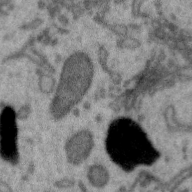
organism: Zebra finch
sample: Brain